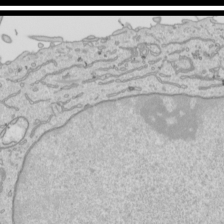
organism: Human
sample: Mitochondria in HCT116 cells